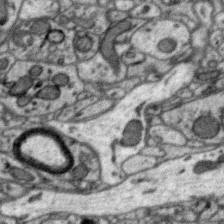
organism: Zebra finch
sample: Brain